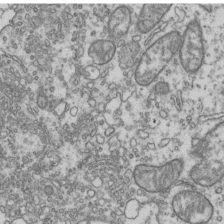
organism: Human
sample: Activated Jurkat CD4+ T cells